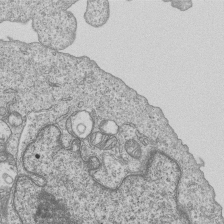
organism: Human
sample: MDA-MB-231 cells